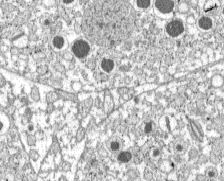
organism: C57BL Mouse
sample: Pancreatic islet